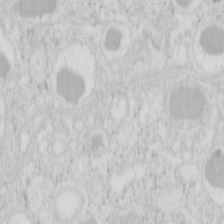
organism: Mouse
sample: Pancreas